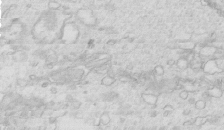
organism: Mouse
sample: Multiciliated cells